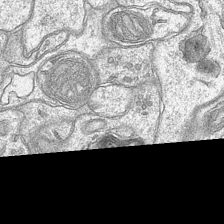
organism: Mouse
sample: CA1 Hippocampus